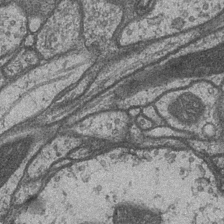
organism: Drosophila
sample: Optic medulla